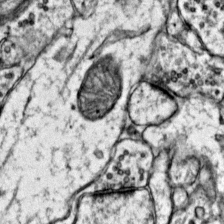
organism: Mouse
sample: Primary visual cortex